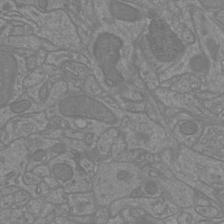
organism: Mouse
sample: Cortical neurons